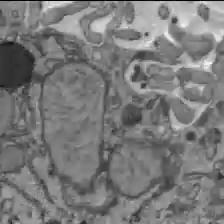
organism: C57BL Mouse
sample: Liver